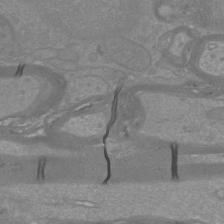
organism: Mouse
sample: Cortical neurons